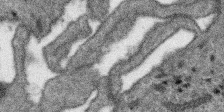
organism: Human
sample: Lung epithelial cells infected with SARS-CoV-2